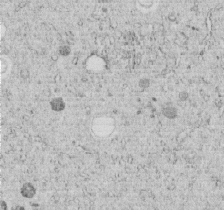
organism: C. elegans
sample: C. elegans embryo early stage